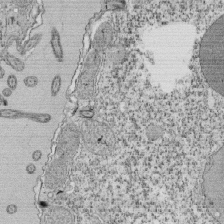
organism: Tetrahymena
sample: Cilia in tetrahymena